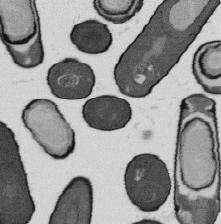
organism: B. subtilis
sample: Bacterial spore